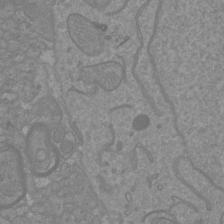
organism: Mouse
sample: Cortical neurons